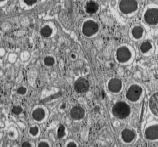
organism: C57BL Mouse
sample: Pancreatic islet